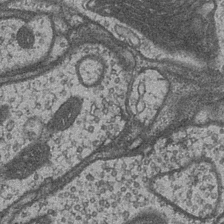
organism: Drosophila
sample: Optic medulla